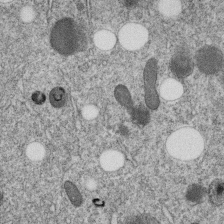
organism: C. elegans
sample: C. elegans embryo early stage